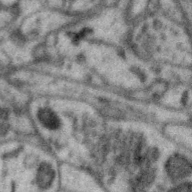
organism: Zebra finch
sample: Brain